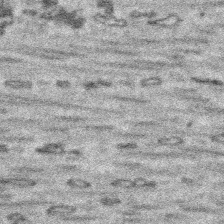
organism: Platynereis dumerilii